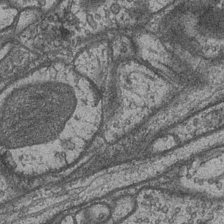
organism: Drosophila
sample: Optic medulla